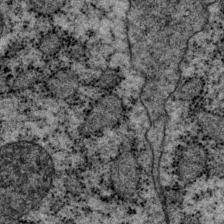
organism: P. pacificus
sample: Pharynx